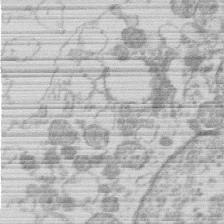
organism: Human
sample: Macrophage cells